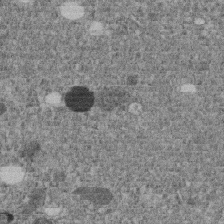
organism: C. elegans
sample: C. elegans embryo early stage